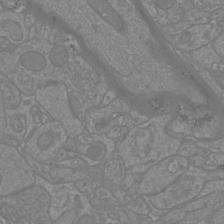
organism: Mouse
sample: Cortical neurons